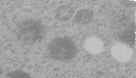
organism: C. elegans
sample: C. elegans embryo early stage